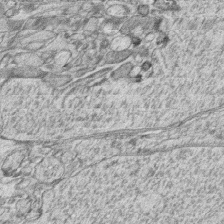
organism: Zebrafish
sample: synaptic ribbons in rod cells and cone cells